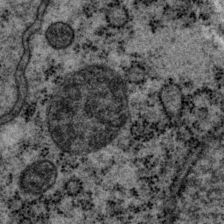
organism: P. pacificus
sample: Pharynx